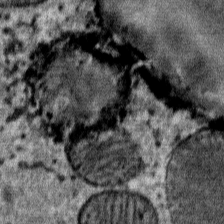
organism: Mouse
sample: Mouse Salivary gland